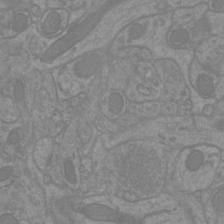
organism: Mouse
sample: Cortical neurons